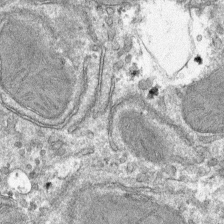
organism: Mouse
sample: Mouse hepatocytes